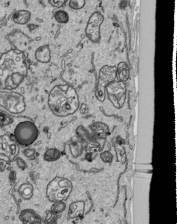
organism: Human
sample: Mitochondria in HCT116 cells